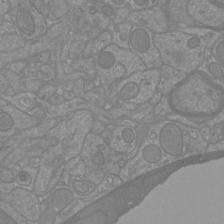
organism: Mouse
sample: Cortical neurons